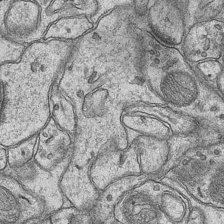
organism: Mouse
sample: CA1 Hippocampus